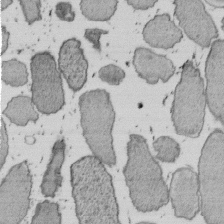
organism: E. coli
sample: Bacterial nucleoid